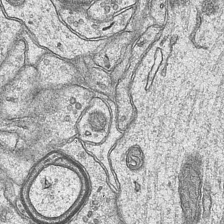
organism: Mouse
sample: CA1 Hippocampus